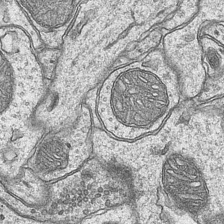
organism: Mouse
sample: CA1 Hippocampus